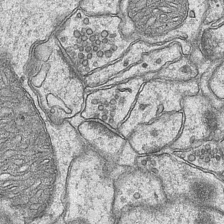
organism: Mouse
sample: CA1 Hippocampus